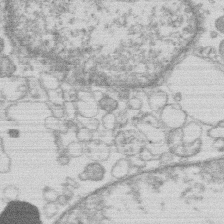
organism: Human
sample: Macrophage cells